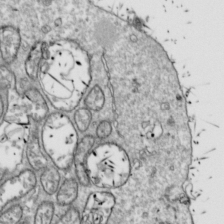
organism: Drosophila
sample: Cell division; meiosis; drosophila spermatocytes